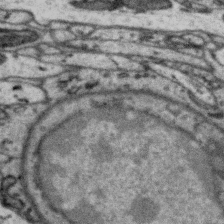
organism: Zebra finch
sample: Brain